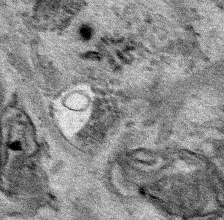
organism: Human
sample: Mitochondria in HCT116 cells